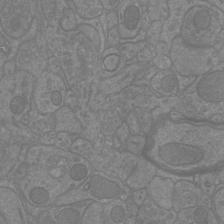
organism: Mouse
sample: Cortical neurons